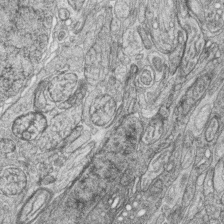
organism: Zebrafish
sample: synaptic ribbons in rod cells and cone cells